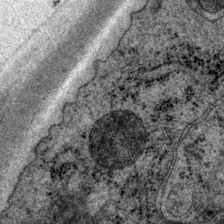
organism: P. pacificus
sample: Pharynx